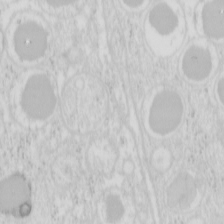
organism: Mouse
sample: Pancreas